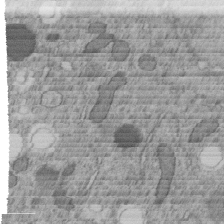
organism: C. elegans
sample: C. elegans embryo early stage